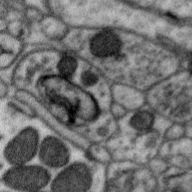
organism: Zebra finch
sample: Brain